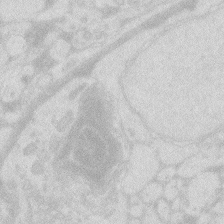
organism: Zebrafish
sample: Macrophage